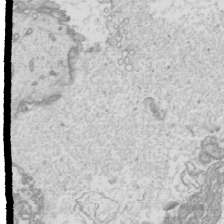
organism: Mouse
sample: Cilia; mouse epididymis